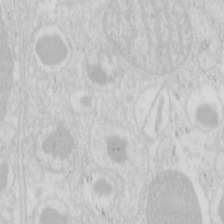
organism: Mouse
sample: Pancreas